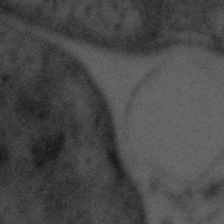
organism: Tuwongella immobilis